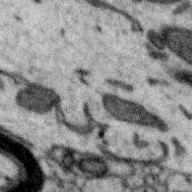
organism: Zebra finch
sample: Brain